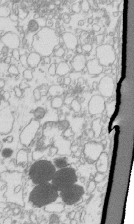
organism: Mouse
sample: Macrophages